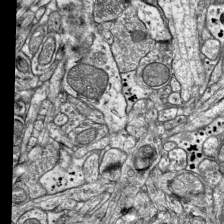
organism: Mouse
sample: Visual Cortex